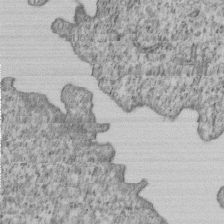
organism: Human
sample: MDA-MB-231 cells